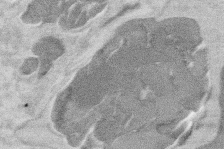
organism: Mouse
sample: T cell stromal cell synapse